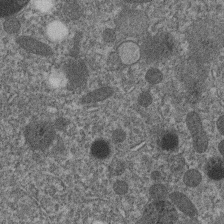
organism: C. elegans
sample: C. elegans embryo early stage